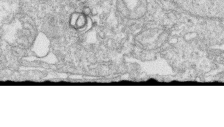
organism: Human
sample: HeLa cell HIV synapse